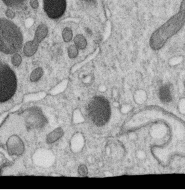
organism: C. elegans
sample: C. elegans oocyte; sperm cells